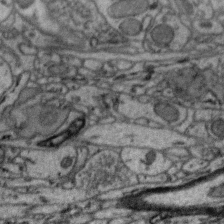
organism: Zebra finch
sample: Brain